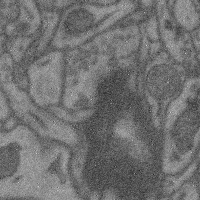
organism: Mouse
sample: Cerebral cortex